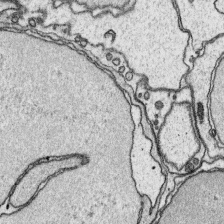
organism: Platynereis dumerilii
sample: Parapodia